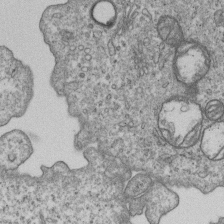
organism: Human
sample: MDA-MB-231 cells